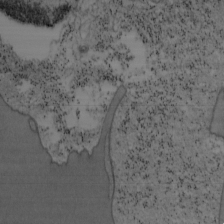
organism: Mouse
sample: OT-I killer T cells with ID8 ovarian cancer cells